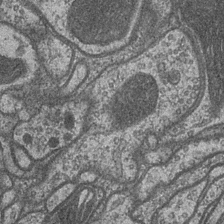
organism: Drosophila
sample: Optic medulla